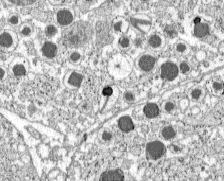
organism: C57BL Mouse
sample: Pancreatic islet